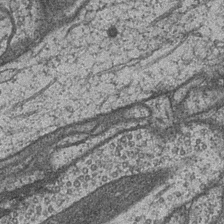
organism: Drosophila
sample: Optic medulla